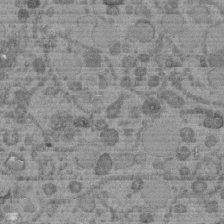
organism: C. elegans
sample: C. elegans embryo early stage